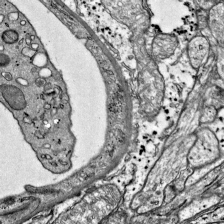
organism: Mouse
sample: Visual Cortex